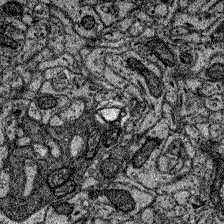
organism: Zebrafish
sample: Larval olfactory bulb